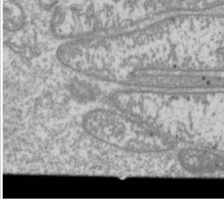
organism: Drosophila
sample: Cell division; meiosis; drosophila spermatocytes